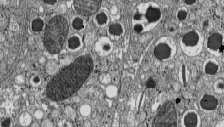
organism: C57BL Mouse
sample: Pancreatic islet